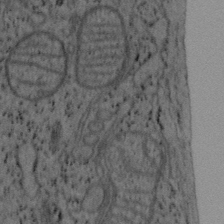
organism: Human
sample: HeLa cells